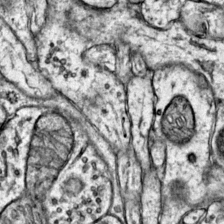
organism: Mouse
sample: Primary visual cortex